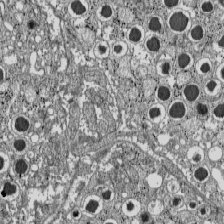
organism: C57BL Mouse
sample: Pancreatic islet